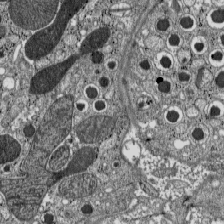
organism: C57BL Mouse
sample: Pancreatic islet